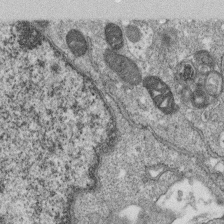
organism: African green monkey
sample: Vero E6 cells infected with SARS-CoV-2